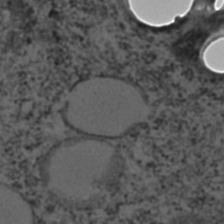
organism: C. elegans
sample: C. elegans embryo